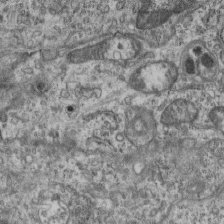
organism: Mouse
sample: Centriole in ependymal cells